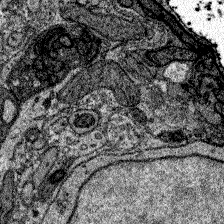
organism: Zebrafish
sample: Larval olfactory bulb